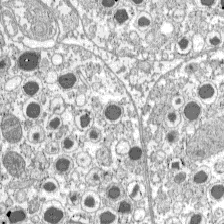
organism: C57BL Mouse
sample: Pancreatic islet